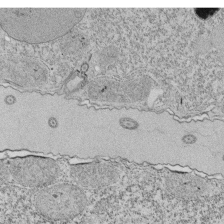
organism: Tetrahymena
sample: Cilia in tetrahymena